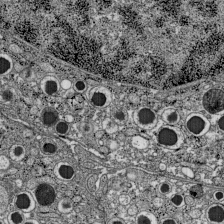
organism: C57BL Mouse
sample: Pancreatic islet